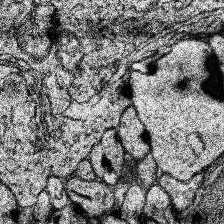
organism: Human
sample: Temporal Lobe